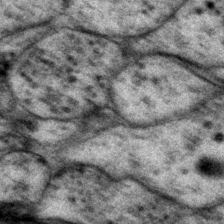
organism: P. pacificus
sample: Pharynx